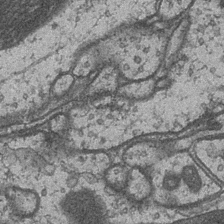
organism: Drosophila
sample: Optic medulla